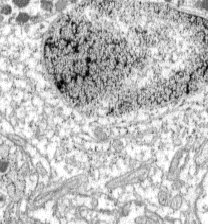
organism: C57BL Mouse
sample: Pancreatic islet